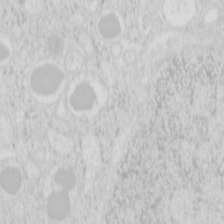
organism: Mouse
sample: Pancreas